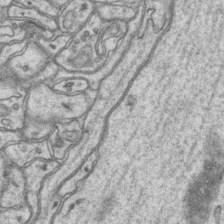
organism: Mouse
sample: CA1 Hippocampus